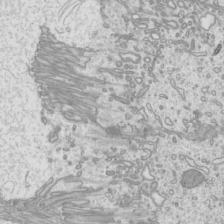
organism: Mouse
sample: Cilia; mouse epididymis